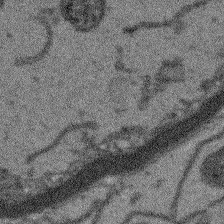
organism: Arabidopsis thaliana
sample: Root tip